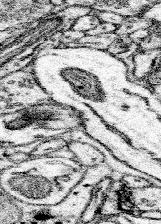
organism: Mouse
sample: Somatosensory cortex neuropil